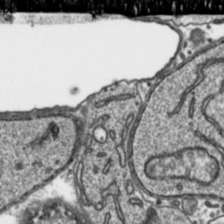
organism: Toxoplasma gondii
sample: Parasites in a vacuole inside a host cell